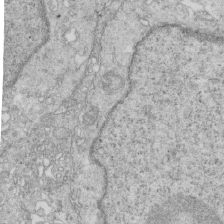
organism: Mouse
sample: Multiciliated cells